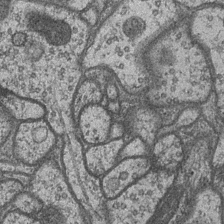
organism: Drosophila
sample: Optic medulla